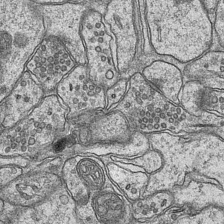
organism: Mouse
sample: CA1 Hippocampus